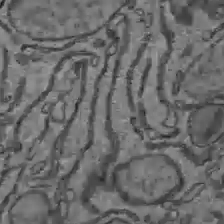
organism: C57BL Mouse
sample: Liver